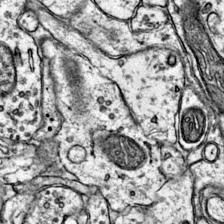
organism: Mouse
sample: Primary visual cortex